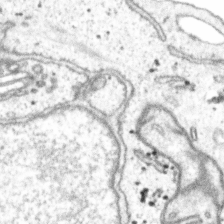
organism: Human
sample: HeLa cells